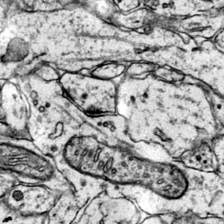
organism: Mouse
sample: Primary visual cortex